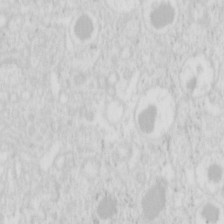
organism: Mouse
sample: Pancreas